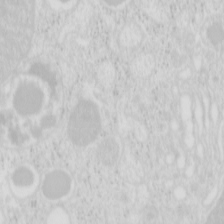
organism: Mouse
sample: Pancreas